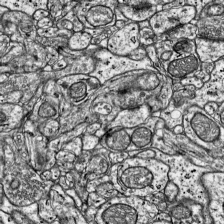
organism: Mouse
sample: Visual Cortex